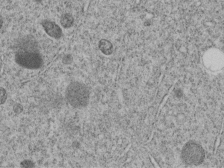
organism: C. elegans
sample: C. elegans embryo early stage